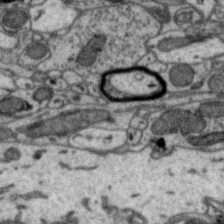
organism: Zebra finch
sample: Brain